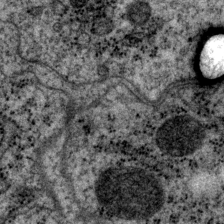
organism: P. pacificus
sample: Pharynx